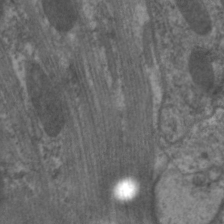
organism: C. elegans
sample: Pharynx